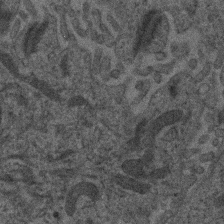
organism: Human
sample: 1205lu cells